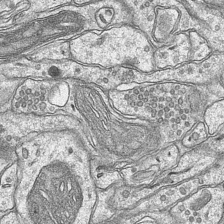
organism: Mouse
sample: CA1 Hippocampus